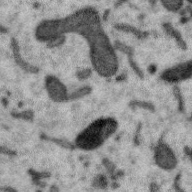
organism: Zebra finch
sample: Brain